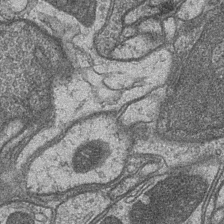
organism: Drosophila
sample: Optic medulla